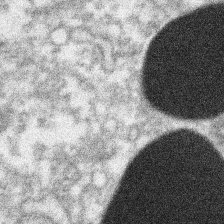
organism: Xenopus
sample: Cilia; centrioles in frog embryo cells